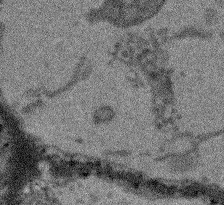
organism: Arabidopsis thaliana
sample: Root tip